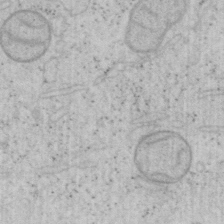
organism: Human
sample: HeLa cells